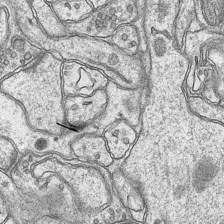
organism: Mouse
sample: CA1 Hippocampus